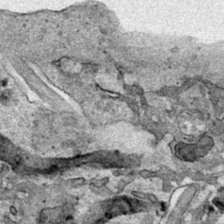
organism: Human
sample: Mitochondria in HCT116 cells